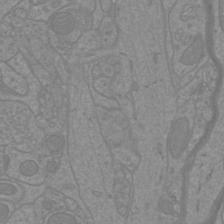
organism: Mouse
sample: Cortical neurons